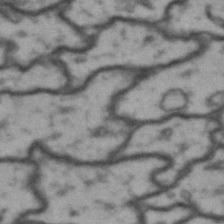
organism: Drosophila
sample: Brain